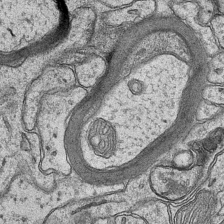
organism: Mouse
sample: CA1 Hippocampus